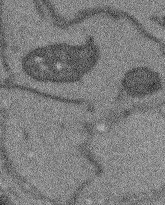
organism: Arabidopsis thaliana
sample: Root tip